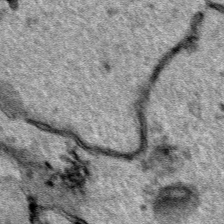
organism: Human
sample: Mitochondria in HCT116 cells